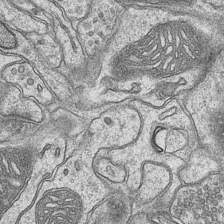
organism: Mouse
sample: CA1 Hippocampus